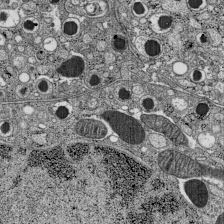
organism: C57BL Mouse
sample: Pancreatic islet